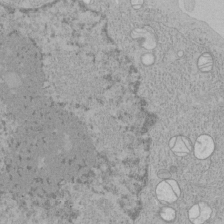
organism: Human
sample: Mitochondria in HCT116 cells